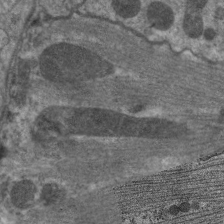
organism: C. elegans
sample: Pharynx